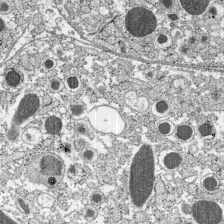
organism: C57BL Mouse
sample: Pancreatic islet